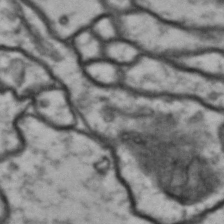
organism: Drosophila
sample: Brain